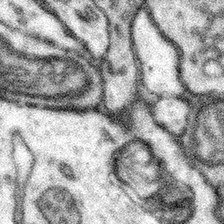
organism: Mouse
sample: Somatosensory cortex neuropil